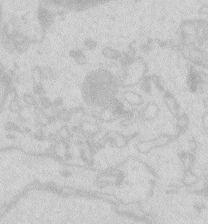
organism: Zebrafish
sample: Macrophage